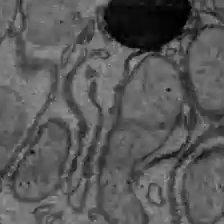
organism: C57BL Mouse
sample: Liver